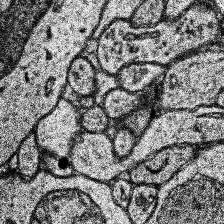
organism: Human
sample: Temporal Lobe